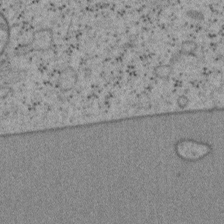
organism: Human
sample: HeLa cells